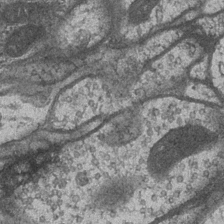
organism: Drosophila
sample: Optic medulla